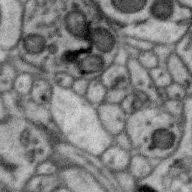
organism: Zebra finch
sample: Brain